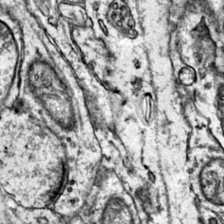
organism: Mouse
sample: Primary visual cortex